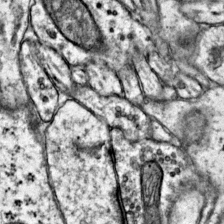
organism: Mouse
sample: Primary visual cortex